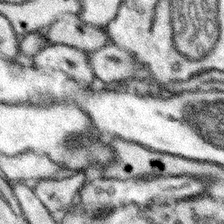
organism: Mouse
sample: Somatosensory cortex neuropil